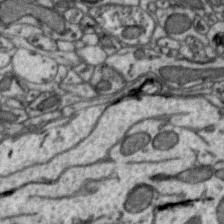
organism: Zebra finch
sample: Brain